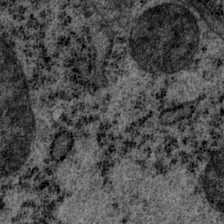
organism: P. pacificus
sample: Pharynx